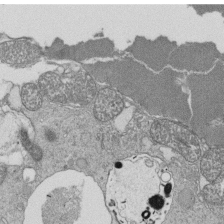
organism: Tetrahymena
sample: Cilia in tetrahymena